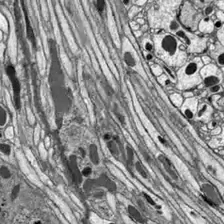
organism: Drosophila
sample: Optic lobe